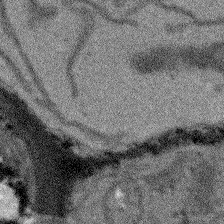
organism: Arabidopsis thaliana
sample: Root tip